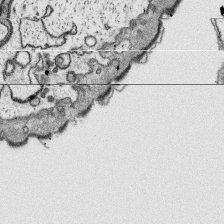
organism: Platynereis dumerilii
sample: Parapodia